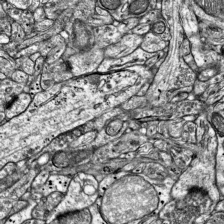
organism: Mouse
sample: Visual Cortex